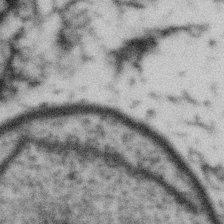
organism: Gemmata obscuriglobus